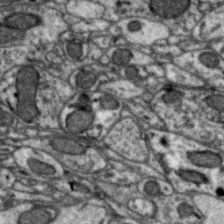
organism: Zebra finch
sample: Brain